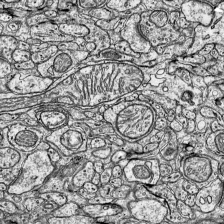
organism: Mouse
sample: Visual Cortex